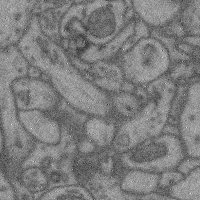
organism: Mouse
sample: Cerebral cortex